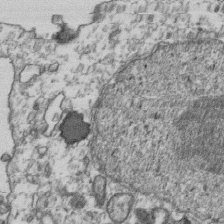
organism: Human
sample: Activated Jurkat CD4+ T cells